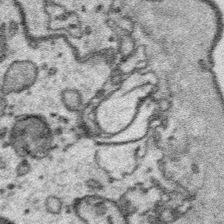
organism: Platynereis dumerilii